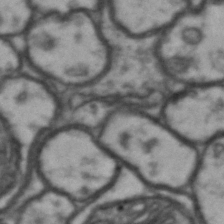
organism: Drosophila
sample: Brain